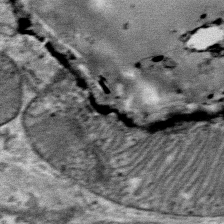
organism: Mouse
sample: Mouse Salivary gland